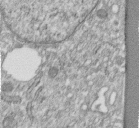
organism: Human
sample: Centriole in fibroblast cells